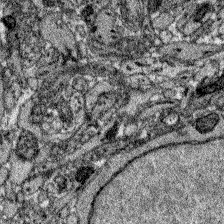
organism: Zebrafish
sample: Larval olfactory bulb